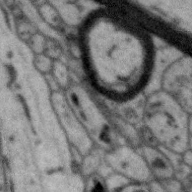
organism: Zebra finch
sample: Brain